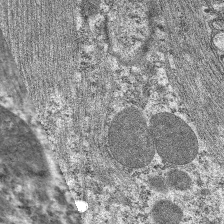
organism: C. elegans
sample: Pharynx